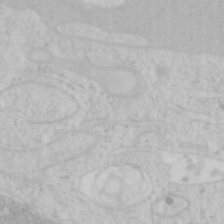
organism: Mouse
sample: OT-I killer T cells with ID8 ovarian cancer cells